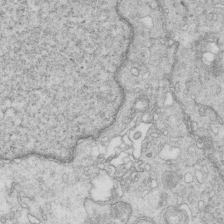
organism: Mouse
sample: Multiciliated cells